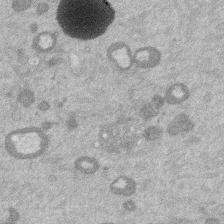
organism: Mouse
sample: Dividing mouse embryo 1 cell stage